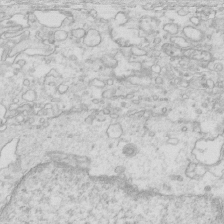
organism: Mouse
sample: Multiciliated cells